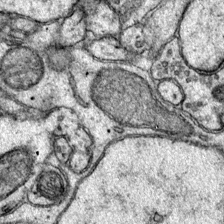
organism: Mouse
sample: Primary visual cortex